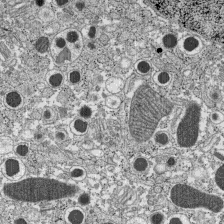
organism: C57BL Mouse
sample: Pancreatic islet